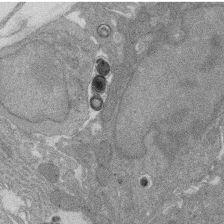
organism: Rat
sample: Salivary granule